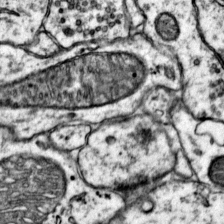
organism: Mouse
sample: Primary visual cortex